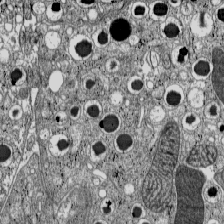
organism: C57BL Mouse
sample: Pancreatic islet